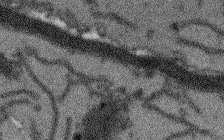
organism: Arabidopsis thaliana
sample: Root tip